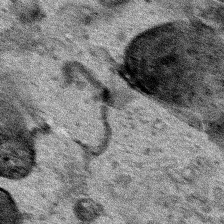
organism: Human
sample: Mitochondria in HCT116 cells